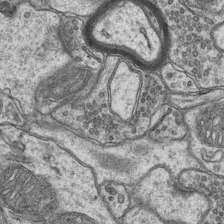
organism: Mouse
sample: CA1 Hippocampus